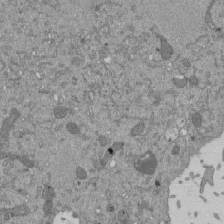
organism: Mouse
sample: ED-1 cell nuclei; centrioles